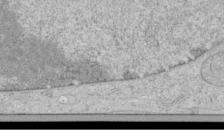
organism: Human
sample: Mitochondria in HCT116 cells